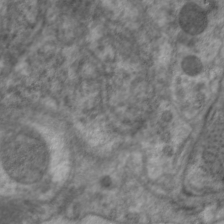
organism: C. elegans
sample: Pharynx